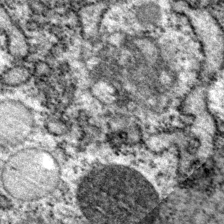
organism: P. pacificus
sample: Pharynx